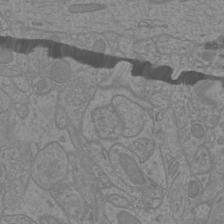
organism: Mouse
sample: Cortical neurons